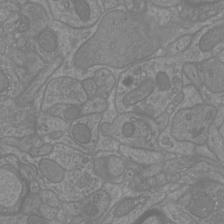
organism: Mouse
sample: Cortical neurons